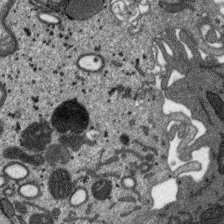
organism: Human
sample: Lung epithelial cells infected with SARS-CoV-2